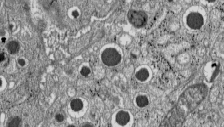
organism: C57BL Mouse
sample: Pancreatic islet